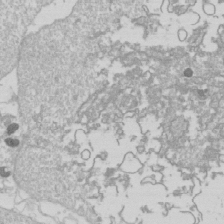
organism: Drosophila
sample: Cell division; meiosis; drosophila spermatocytes